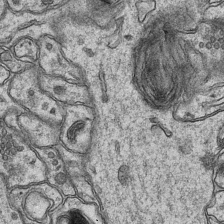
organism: Mouse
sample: CA1 Hippocampus